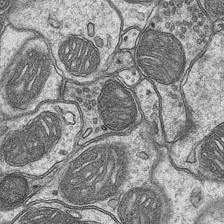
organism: Mouse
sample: CA1 Hippocampus